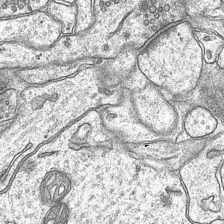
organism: Mouse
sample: CA1 Hippocampus